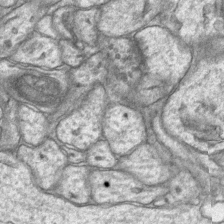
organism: Mouse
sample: CA1 Hippocampus